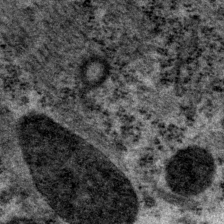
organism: P. pacificus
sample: Pharynx